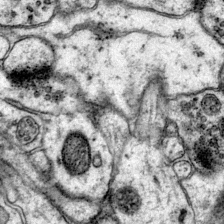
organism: Mouse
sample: Primary visual cortex